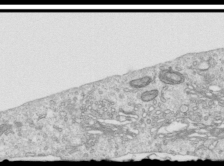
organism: Human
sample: Centriole in RPE cells